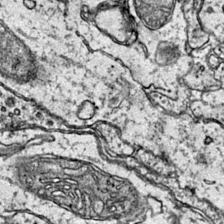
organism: Mouse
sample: Primary visual cortex